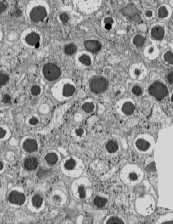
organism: C57BL Mouse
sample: Pancreatic islet